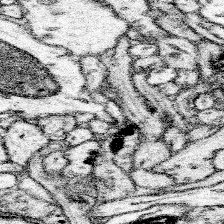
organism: Mouse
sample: Somatosensory cortex neuropil